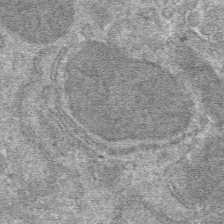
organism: Mouse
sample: Mouse hepatocytes